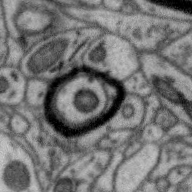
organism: Zebra finch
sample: Brain